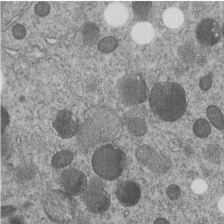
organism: C. elegans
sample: C. elegans embryo early stage